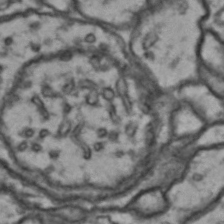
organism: Drosophila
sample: Brain